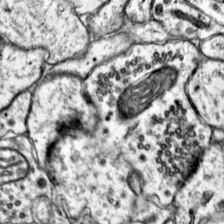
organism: Mouse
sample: Primary visual cortex